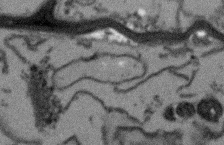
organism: Arabidopsis thaliana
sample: Root tip